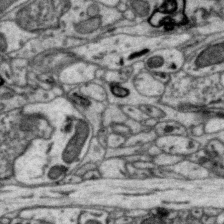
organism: Zebra finch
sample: Brain